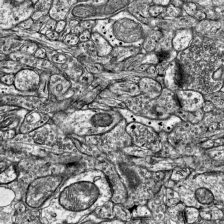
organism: Mouse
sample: Visual Cortex